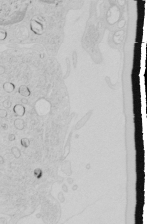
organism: Human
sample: Mitochondria in HCT116 cells